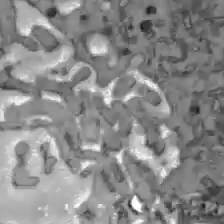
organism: C57BL Mouse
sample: Liver